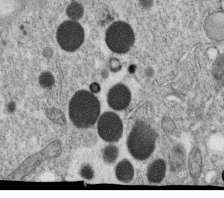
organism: C. elegans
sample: C. elegans oocyte; sperm cells